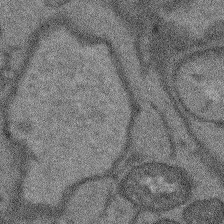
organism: Arabidopsis thaliana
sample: Root tip